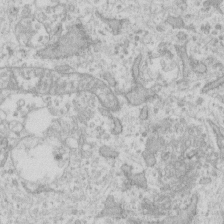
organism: Human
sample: Fibroblast cells